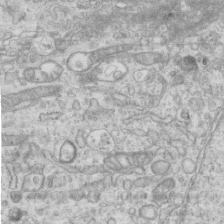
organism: Mouse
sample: Centriole in ependymal cells